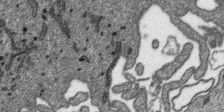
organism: Human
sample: Lung epithelial cells infected with SARS-CoV-2